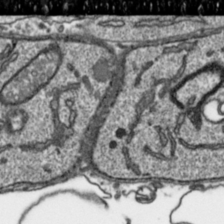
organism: Toxoplasma gondii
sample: Parasites in a vacuole inside a host cell